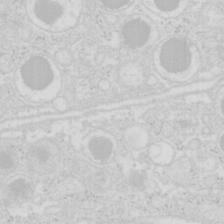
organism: Mouse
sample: Pancreas